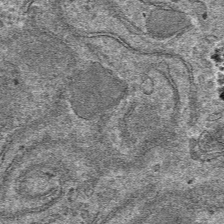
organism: Mouse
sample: Mouse hepatocytes